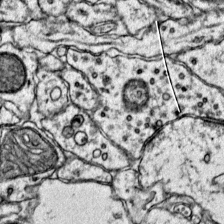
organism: Mouse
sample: Primary visual cortex